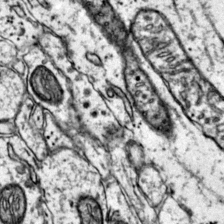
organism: Mouse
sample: Primary visual cortex